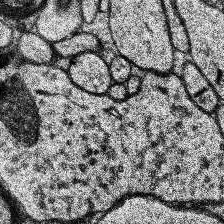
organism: Human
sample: Temporal Lobe